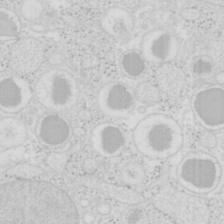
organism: Mouse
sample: Pancreas